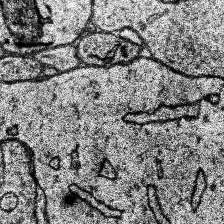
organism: Human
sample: Temporal Lobe